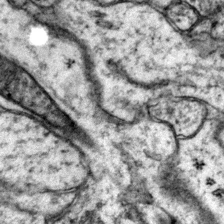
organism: Mouse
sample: Primary visual cortex